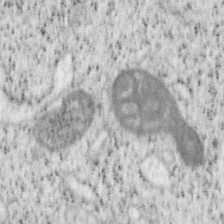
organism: Mouse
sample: OT-I killer T cells with ID8 ovarian cancer cells